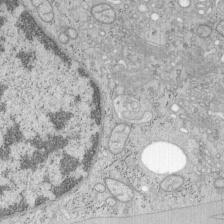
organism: Mouse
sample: OT-I killer T cells with ID8 ovarian cancer cells